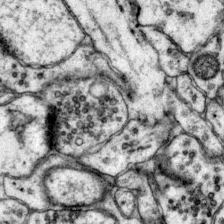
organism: Mouse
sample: Primary visual cortex